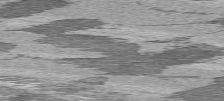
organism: C57BL Mouse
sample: Heart